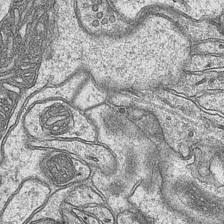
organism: Mouse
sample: CA1 Hippocampus